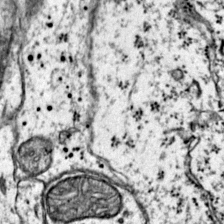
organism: Mouse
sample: Primary visual cortex